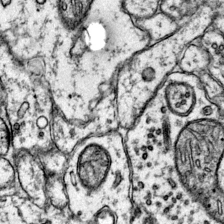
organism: Mouse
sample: Primary visual cortex